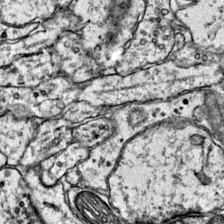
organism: Mouse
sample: Primary visual cortex